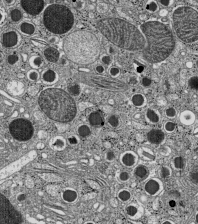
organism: C57BL Mouse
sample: Pancreatic islet